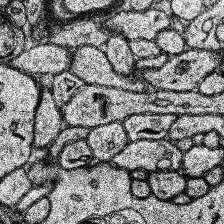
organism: Human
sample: Temporal Lobe